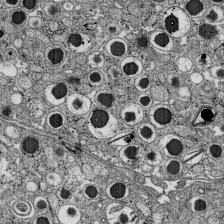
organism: C57BL Mouse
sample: Pancreatic islet